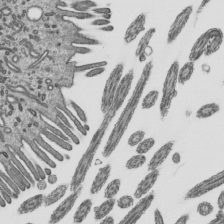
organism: Mouse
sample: Mouse epididymis efferent ductule cilia